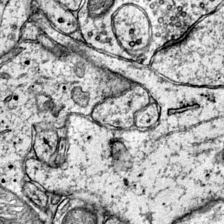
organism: Mouse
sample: Primary visual cortex